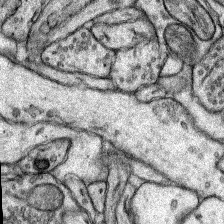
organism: Rat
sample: Hippocampus